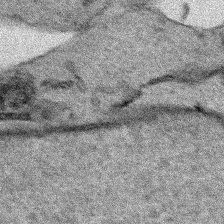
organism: Human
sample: Mitochondria in HCT116 cells